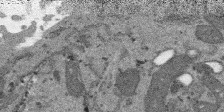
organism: Human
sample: Lung epithelial cells infected with SARS-CoV-2